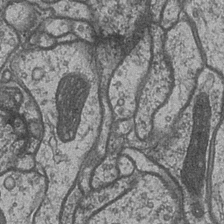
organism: Drosophila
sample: Optic medulla